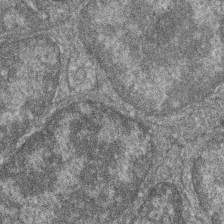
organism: Zebrafish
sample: Cilia; retinal pigment epithelium